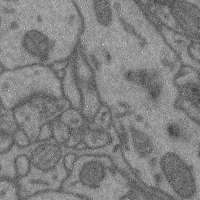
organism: Mouse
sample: Cerebral cortex